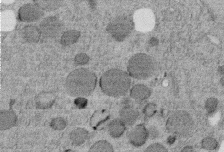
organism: C. elegans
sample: C. elegans embryo early stage